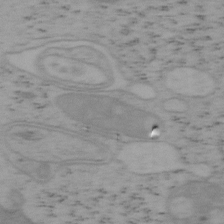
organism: Mouse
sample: OT-I killer T cells with ID8 ovarian cancer cells